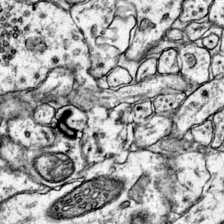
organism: Mouse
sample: Primary visual cortex